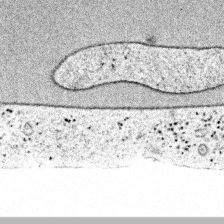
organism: Human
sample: HeLa cells